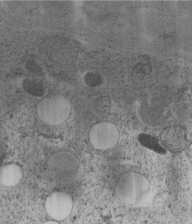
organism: C. elegans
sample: C. elegans embryo early stage